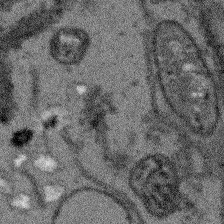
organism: Arabidopsis thaliana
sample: Root tip